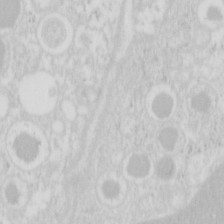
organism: Mouse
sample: Pancreas